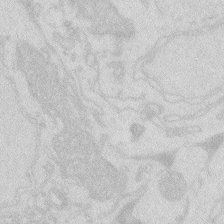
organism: Zebrafish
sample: Macrophage